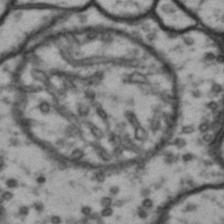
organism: Drosophila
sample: Brain